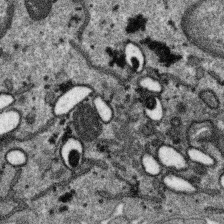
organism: Human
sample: Lung epithelial cells infected with SARS-CoV-2